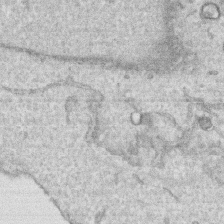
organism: Human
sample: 1205lu cells